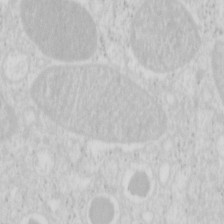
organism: Mouse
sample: Pancreas